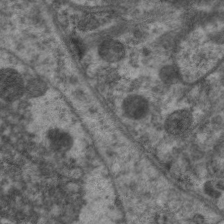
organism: C. elegans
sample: Pharynx